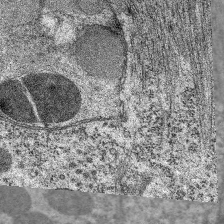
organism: C. elegans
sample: Pharynx